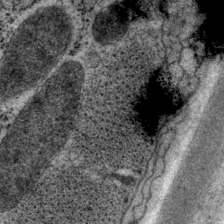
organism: P. pacificus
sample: Pharynx